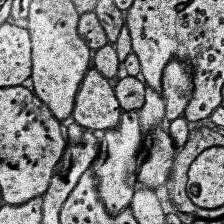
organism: Human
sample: Temporal Lobe